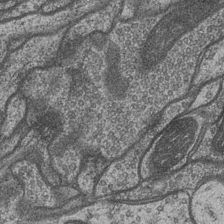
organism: Drosophila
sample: Optic medulla